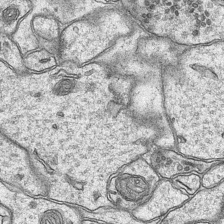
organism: Mouse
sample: CA1 Hippocampus